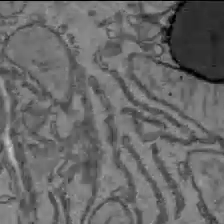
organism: C57BL Mouse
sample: Liver